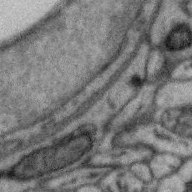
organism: Zebra finch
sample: Brain